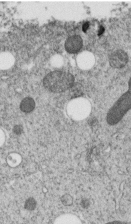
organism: C. elegans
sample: C. elegans embryo early stage